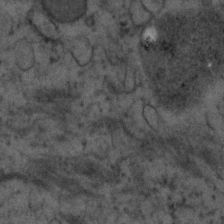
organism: Human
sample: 1205lu cells